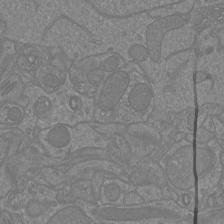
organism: Mouse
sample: Cortical neurons